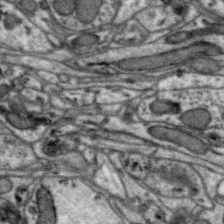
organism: Zebra finch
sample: Brain